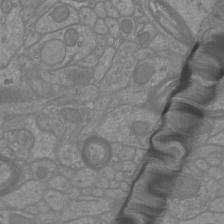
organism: Mouse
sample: Cortical neurons